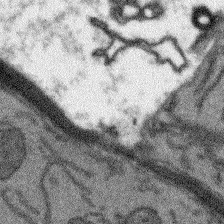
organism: Arabidopsis thaliana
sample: Root tip